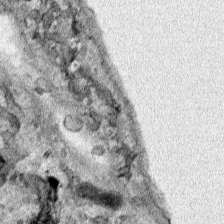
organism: Human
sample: Mitochondria in HCT116 cells